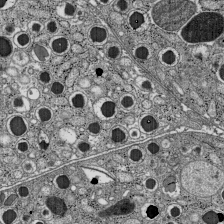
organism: C57BL Mouse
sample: Pancreatic islet